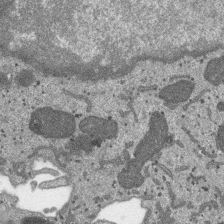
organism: Human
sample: Lung epithelial cells infected with SARS-CoV-2